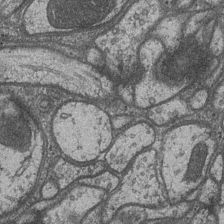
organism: Drosophila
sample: Optic medulla